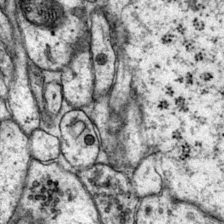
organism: Mouse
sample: Primary visual cortex